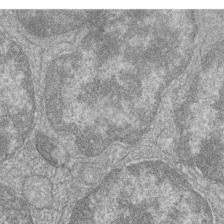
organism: Zebrafish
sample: Cilia; retinal pigment epithelium